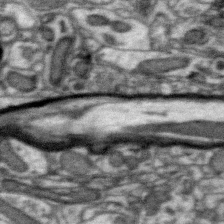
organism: Zebra finch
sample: Brain